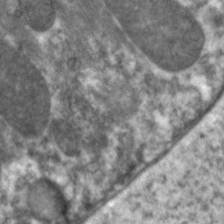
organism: C. elegans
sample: Pharynx